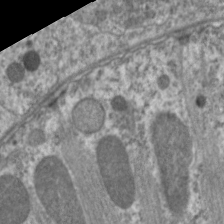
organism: C. elegans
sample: Pharynx